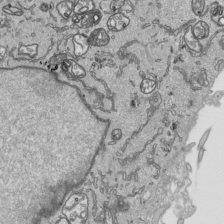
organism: Human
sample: Mitochondria in HCT116 cells